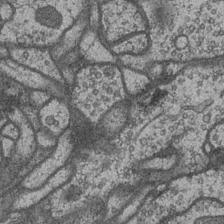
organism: Drosophila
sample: Optic medulla